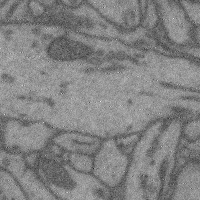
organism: Mouse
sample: Cerebral cortex